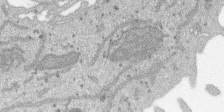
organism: Human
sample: Lung epithelial cells infected with SARS-CoV-2